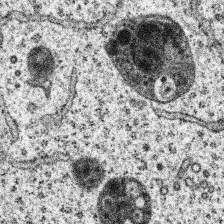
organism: Human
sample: HeLa cells